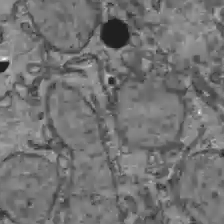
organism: C57BL Mouse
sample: Liver